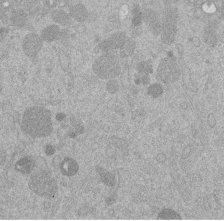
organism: Mouse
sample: Dividing mouse embryo 1 cell stage